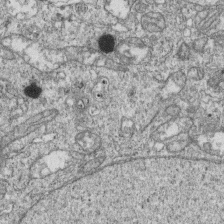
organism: Human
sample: HeLa cell HIV synapse